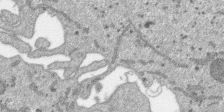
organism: Human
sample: Lung epithelial cells infected with SARS-CoV-2